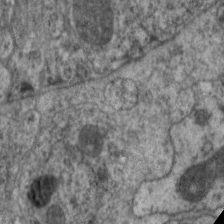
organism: C. elegans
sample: Pharynx